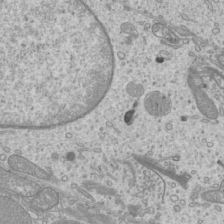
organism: Mouse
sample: Cilia; mouse epididymis